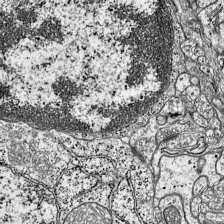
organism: Mouse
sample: Visual Cortex